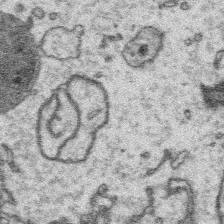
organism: Platynereis dumerilii